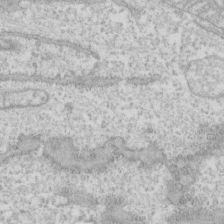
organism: Human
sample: CRL-1474